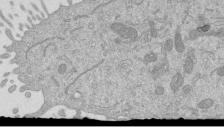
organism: Mouse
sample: ED-1 cell nuclei; centrioles